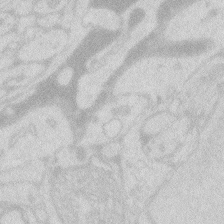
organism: Zebrafish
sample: Macrophage